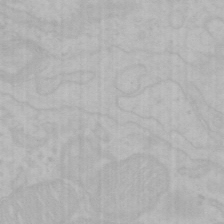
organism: Mouse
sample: Choroid plexus